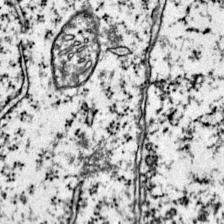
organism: Mouse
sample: Primary visual cortex